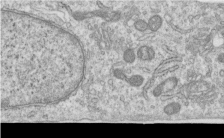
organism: Human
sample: Centriole in RPE cells